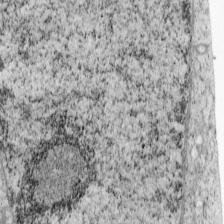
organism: African green monkey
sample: COS-7 cells